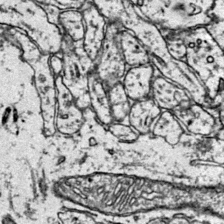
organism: Mouse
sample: Primary visual cortex